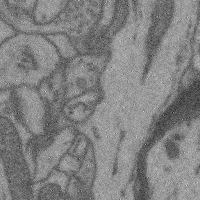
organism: Mouse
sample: Cerebral cortex